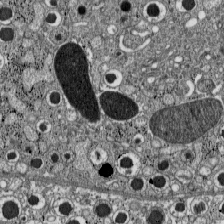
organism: C57BL Mouse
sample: Pancreatic islet